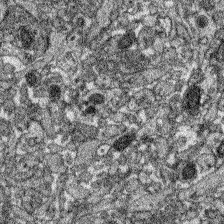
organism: Zebrafish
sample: Larval olfactory bulb